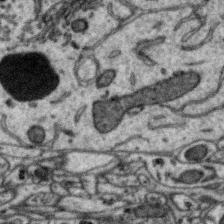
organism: Zebra finch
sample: Brain